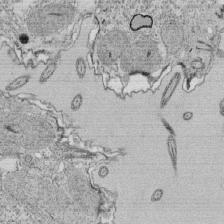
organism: Tetrahymena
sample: Cilia in tetrahymena